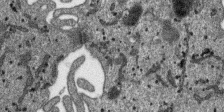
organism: Human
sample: Lung epithelial cells infected with SARS-CoV-2